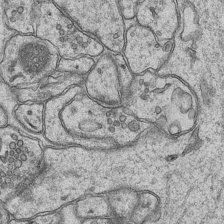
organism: Mouse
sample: CA1 Hippocampus